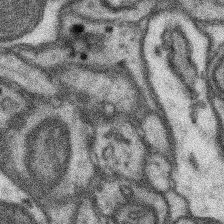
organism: Mouse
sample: Somatosensory cortex neuropil